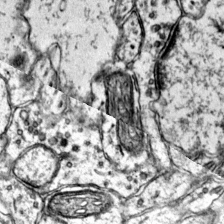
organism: Mouse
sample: Primary visual cortex